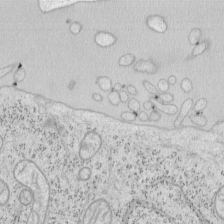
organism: Mouse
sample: OT-I killer T cells with ID8 ovarian cancer cells